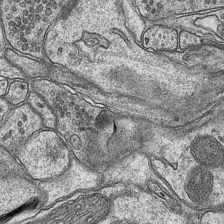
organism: Mouse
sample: CA1 Hippocampus